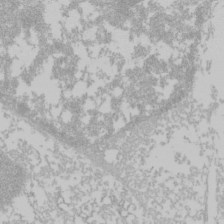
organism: Mouse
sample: Cancer cell death in ED-1 cells